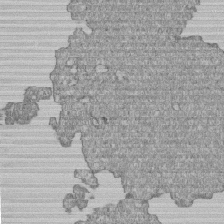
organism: Human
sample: MDA-MB-231 cells